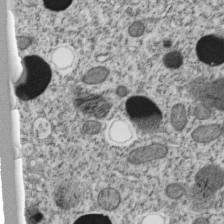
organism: C. elegans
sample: C. elegans embryo early stage